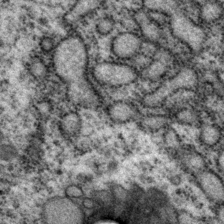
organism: P. pacificus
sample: Pharynx